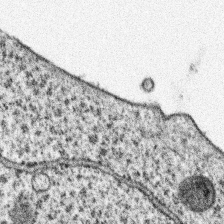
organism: Human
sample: HeLa cells